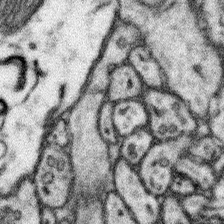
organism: Mouse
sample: Somatosensory cortex neuropil